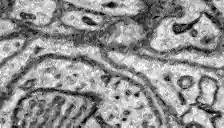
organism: Zebrafish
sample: Brain